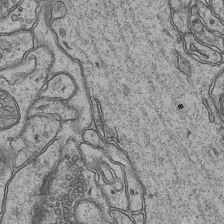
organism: Mouse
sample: CA1 Hippocampus